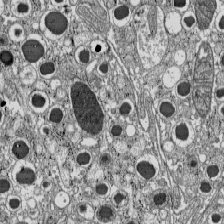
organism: C57BL Mouse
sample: Pancreatic islet